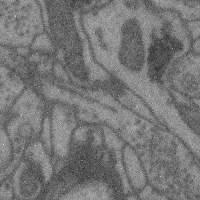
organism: Mouse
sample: Cerebral cortex